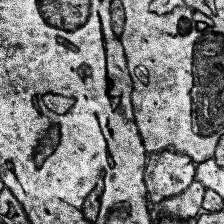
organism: Human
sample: Temporal Lobe